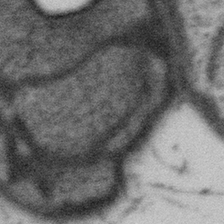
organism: Gemmata obscuriglobus